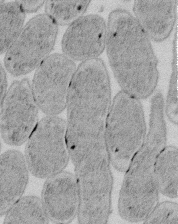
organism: E. coli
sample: Bacterial nucleoid